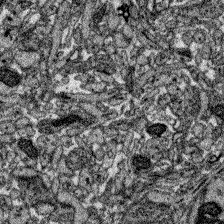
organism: Zebrafish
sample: Larval olfactory bulb